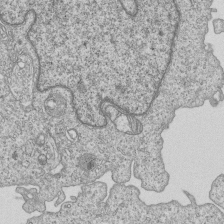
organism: Human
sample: MDA-MB-231 cells